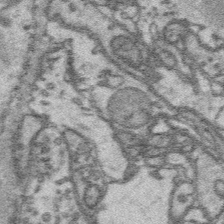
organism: Platynereis dumerilii